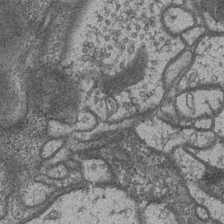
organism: Drosophila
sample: Optic medulla